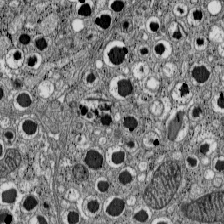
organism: C57BL Mouse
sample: Pancreatic islet